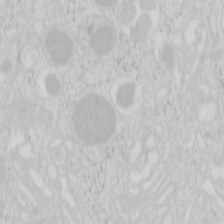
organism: Mouse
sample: Pancreas